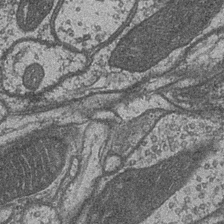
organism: Drosophila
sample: Optic medulla